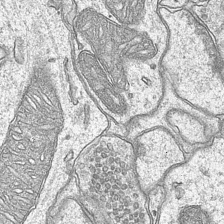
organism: Mouse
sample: CA1 Hippocampus